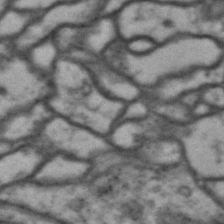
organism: Drosophila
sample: Brain